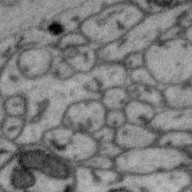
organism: Zebra finch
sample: Brain